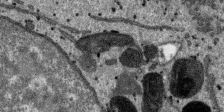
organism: Human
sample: Lung epithelial cells, uninfected (mock) control